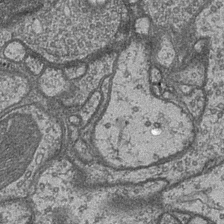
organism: Drosophila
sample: Optic medulla